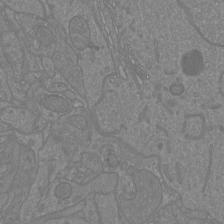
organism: Mouse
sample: Cortical neurons